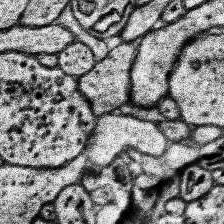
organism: Human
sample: Temporal Lobe